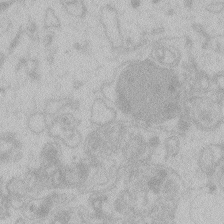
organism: Zebrafish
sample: Macrophage infected with Toxoplasma gondii